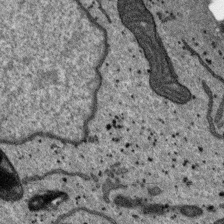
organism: Human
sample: Lung epithelial cells, uninfected (mock) control